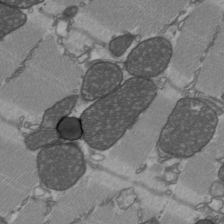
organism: C57BL Mouse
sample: Heart